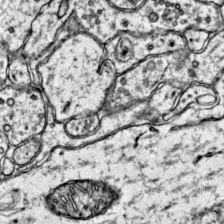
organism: Mouse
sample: Primary visual cortex